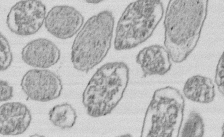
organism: E. coli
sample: Bacterial nucleoid